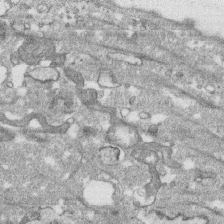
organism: Human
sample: CRL-1474